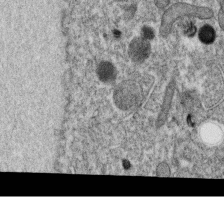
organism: C. elegans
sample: C. elegans oocyte; sperm cells